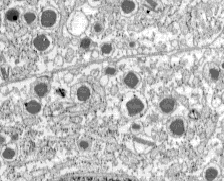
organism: C57BL Mouse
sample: Pancreatic islet